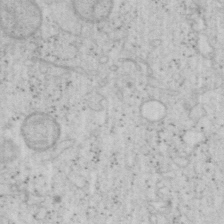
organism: Human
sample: HeLa cells